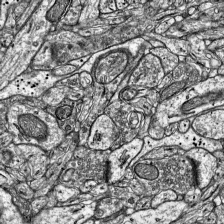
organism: Mouse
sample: Visual Cortex